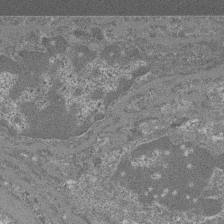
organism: Mouse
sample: Glomerulus